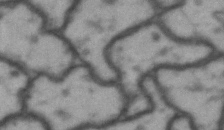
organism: Drosophila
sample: Brain